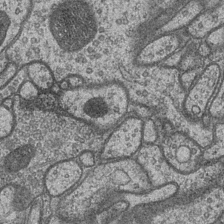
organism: Drosophila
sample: Optic medulla